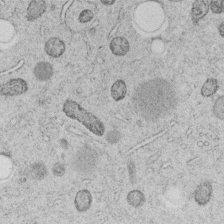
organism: C. elegans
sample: C. elegans embryo early stage